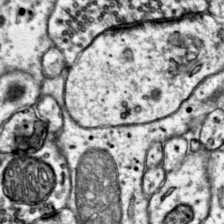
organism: Mouse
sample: Primary visual cortex